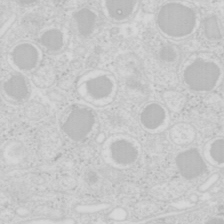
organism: Mouse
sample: Pancreas